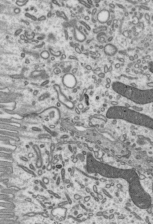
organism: Mouse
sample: Mouse epididymis efferent ductule cilia